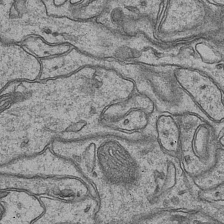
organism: Mouse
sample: CA1 Hippocampus